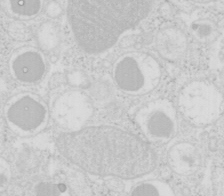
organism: Mouse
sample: Pancreas